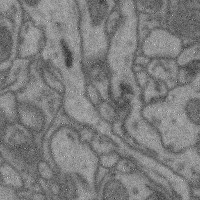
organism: Mouse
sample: Cerebral cortex